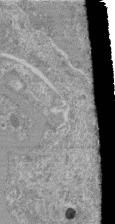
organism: Mouse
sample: Glomerulus